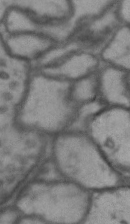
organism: Drosophila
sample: Brain